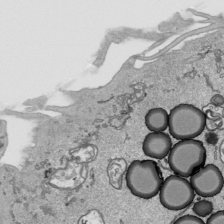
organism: Human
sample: Mitochondria in HCT116 cells